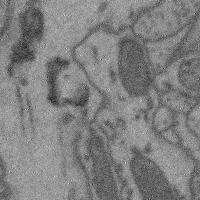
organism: Mouse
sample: Cerebral cortex